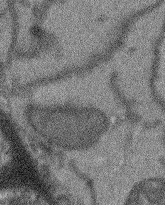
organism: Arabidopsis thaliana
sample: Root tip